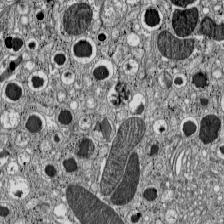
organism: C57BL Mouse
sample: Pancreatic islet